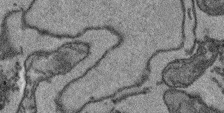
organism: Arabidopsis thaliana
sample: Root tip